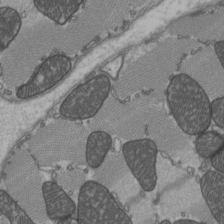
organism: C57BL Mouse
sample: Heart